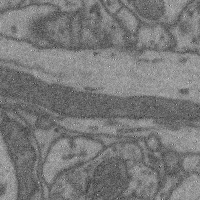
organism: Mouse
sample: Cerebral cortex